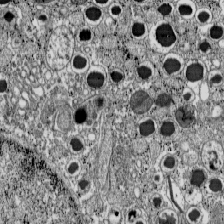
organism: C57BL Mouse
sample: Pancreatic islet